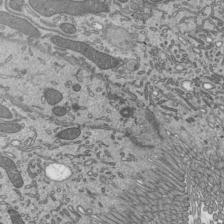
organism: Mouse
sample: Mouse epididymis efferent ductule cilia